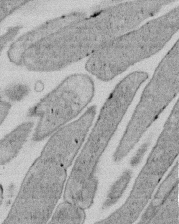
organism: E. coli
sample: Bacterial nucleoid